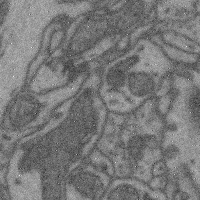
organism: Mouse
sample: Cerebral cortex